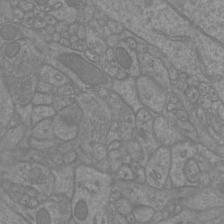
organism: Mouse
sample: Cortical neurons